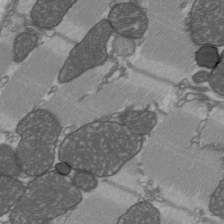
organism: C57BL Mouse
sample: Heart